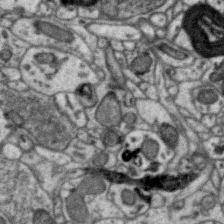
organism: Zebra finch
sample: Brain